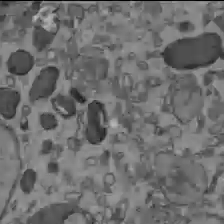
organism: C57BL Mouse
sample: Liver